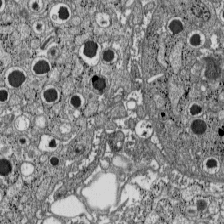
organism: C57BL Mouse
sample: Pancreatic islet